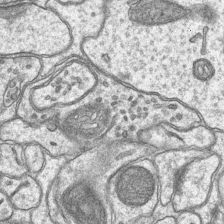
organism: Mouse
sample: CA1 Hippocampus